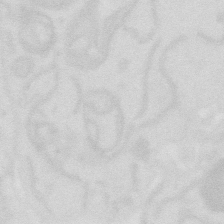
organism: Human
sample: HeLa cells